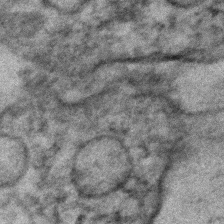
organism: Human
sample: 1205lu cells